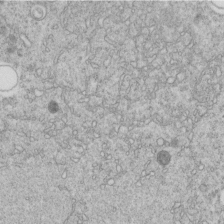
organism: C. elegans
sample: C. elegans embryo early stage